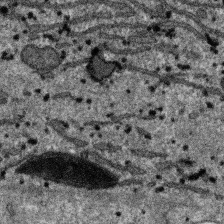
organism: Human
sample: Lung epithelial cells infected with SARS-CoV-2